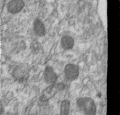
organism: Human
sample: Centriole in RPE cells